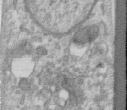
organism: Human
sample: Centriole in RPE cells